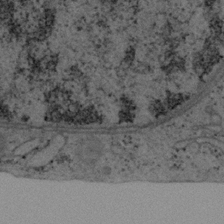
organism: Human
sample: HeLa cells